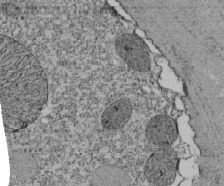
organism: Tetrahymena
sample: Cilia in tetrahymena